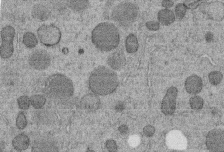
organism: C. elegans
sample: C. elegans embryo early stage